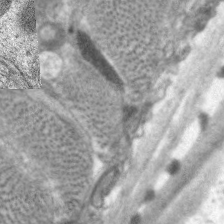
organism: C. elegans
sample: Pharynx